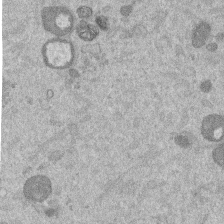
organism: Mouse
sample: Dividing mouse embryo 1 cell stage